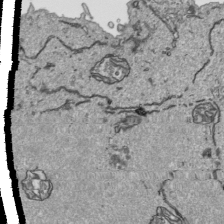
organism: Human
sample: Mitochondria in HCT116 cells